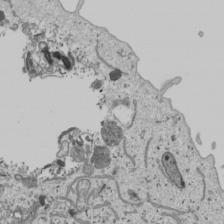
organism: Human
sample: Mitochondria in U2OS cells